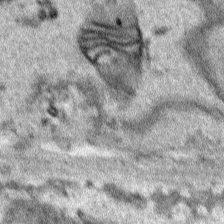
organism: Human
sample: Mitochondria in HCT116 cells